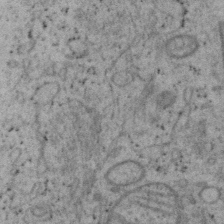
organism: Human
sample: HeLa cells